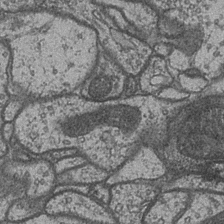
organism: Drosophila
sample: Optic medulla